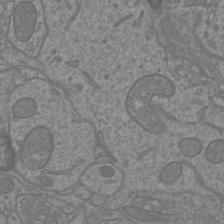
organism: Mouse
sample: Cortical neurons